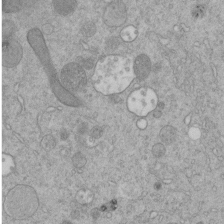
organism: C. elegans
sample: C. elegans embryo early stage